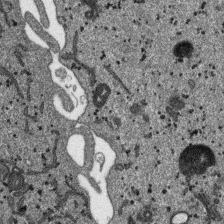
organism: Human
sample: Lung epithelial cells infected with SARS-CoV-2